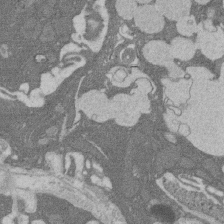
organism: Rat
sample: Salivary granule